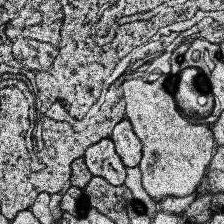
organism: Human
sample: Temporal Lobe